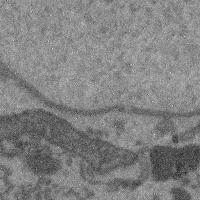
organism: Mouse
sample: Cerebral cortex